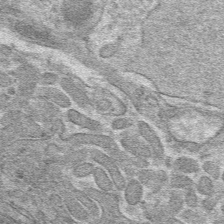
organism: Mouse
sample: Mouse hepatocytes